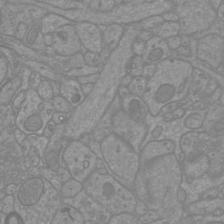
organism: Mouse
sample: Cortical neurons